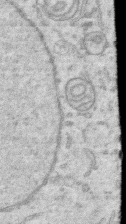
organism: Human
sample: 1205lu cells